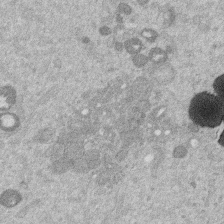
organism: Mouse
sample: Dividing mouse embryo 1 cell stage